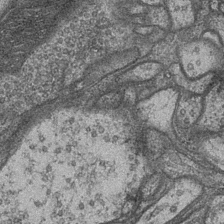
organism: Drosophila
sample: Optic medulla